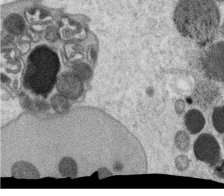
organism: C. elegans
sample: C. elegans oocyte; sperm cells